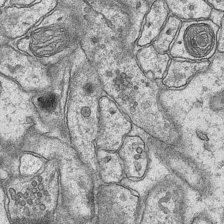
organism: Mouse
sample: CA1 Hippocampus